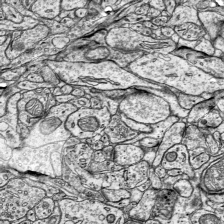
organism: Mouse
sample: Visual Cortex